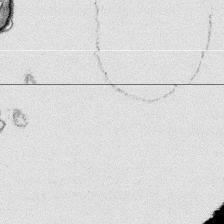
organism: Platynereis dumerilii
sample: Parapodia